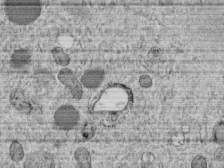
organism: C. elegans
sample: C. elegans embryo early stage